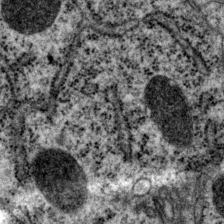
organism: P. pacificus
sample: Pharynx